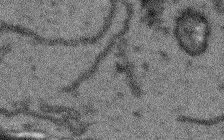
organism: Arabidopsis thaliana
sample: Root tip